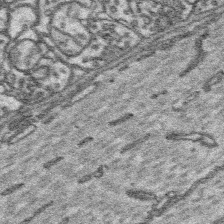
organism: Platynereis dumerilii